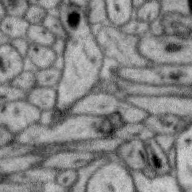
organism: Zebra finch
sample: Brain